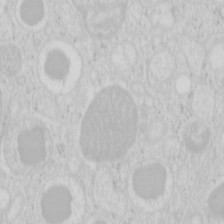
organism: Mouse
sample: Pancreas